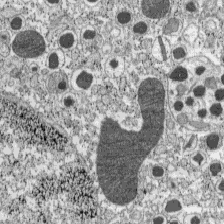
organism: C57BL Mouse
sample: Pancreatic islet